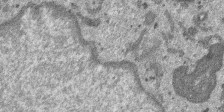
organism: Human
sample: Lung epithelial cells infected with SARS-CoV-2